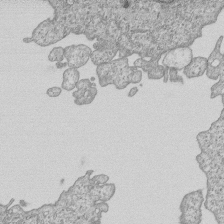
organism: Human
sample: MDA-MB-231 cells